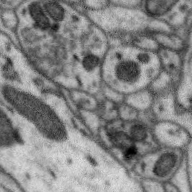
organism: Zebra finch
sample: Brain